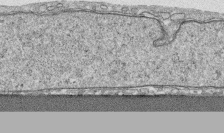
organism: Human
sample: CRL-1474